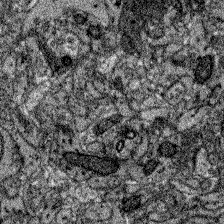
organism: Zebrafish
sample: Larval olfactory bulb